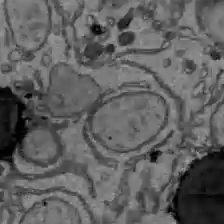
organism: C57BL Mouse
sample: Liver